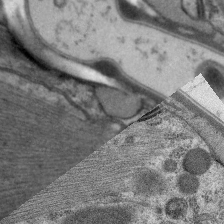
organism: C. elegans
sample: Pharynx